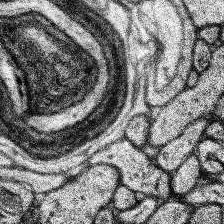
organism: Human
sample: Temporal Lobe